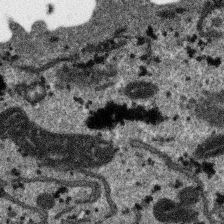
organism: Human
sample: Lung epithelial cells infected with SARS-CoV-2